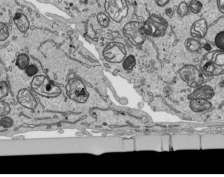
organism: Human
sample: Mitochondria in HCT116 cells